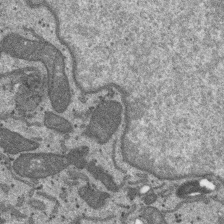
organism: Human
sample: Lung epithelial cells infected with SARS-CoV-2